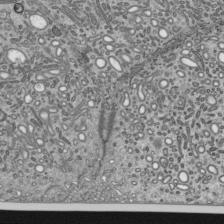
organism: Mouse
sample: Mouse epididymis efferent ductule cilia